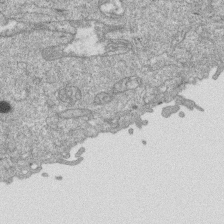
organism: Human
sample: HeLa cell HIV synapse